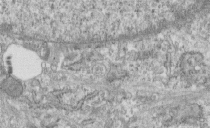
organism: Human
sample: Centriole in fibroblast cells